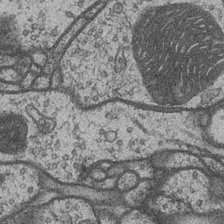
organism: Drosophila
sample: Optic medulla